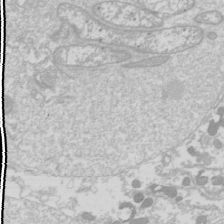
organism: Drosophila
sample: Cell division; meiosis; drosophila spermatocytes